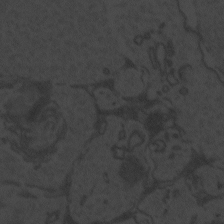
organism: Zebrafish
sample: Macrophage infected with Toxoplasma gondii